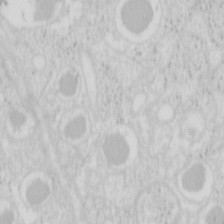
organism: Mouse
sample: Pancreas